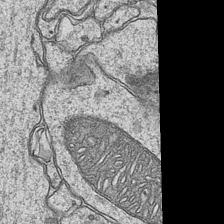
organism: Mouse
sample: CA1 Hippocampus